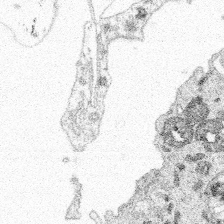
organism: Spongilla lacustris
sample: Multiple